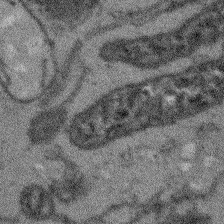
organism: Arabidopsis thaliana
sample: Root tip